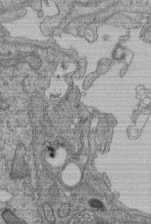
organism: Human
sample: Retinal organoid Rod and Cone cells